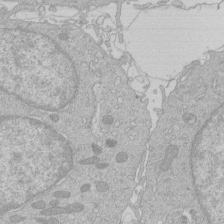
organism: Human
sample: Macrophage cells